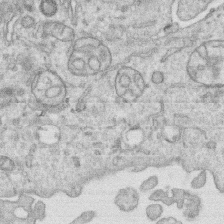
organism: Human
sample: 1205lu cells